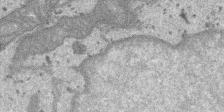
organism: Human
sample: Lung epithelial cells infected with SARS-CoV-2